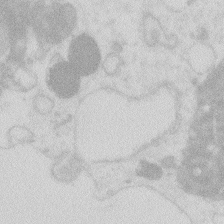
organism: Zebrafish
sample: Macrophage